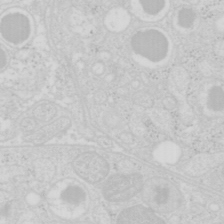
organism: Mouse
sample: Pancreas